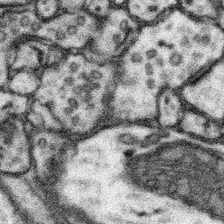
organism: Mouse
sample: Somatosensory cortex neuropil